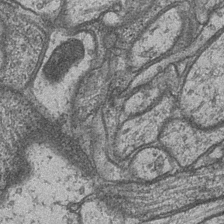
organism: Drosophila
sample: Optic medulla